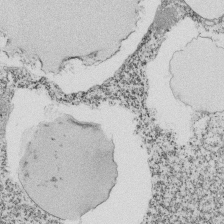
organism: Tetrahymena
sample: Cilia in tetrahymena